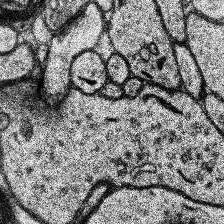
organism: Human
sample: Temporal Lobe